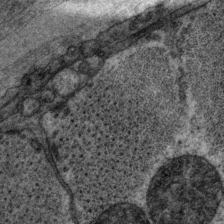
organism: P. pacificus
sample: Pharynx